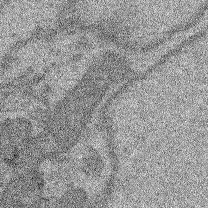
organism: Human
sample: HeLa cells